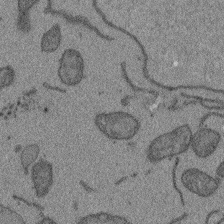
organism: Arabidopsis thaliana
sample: Root tip